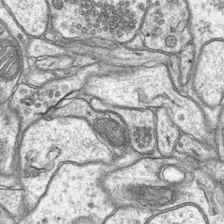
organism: Mouse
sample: CA1 Hippocampus